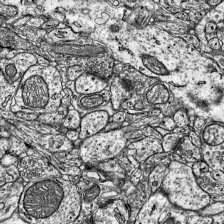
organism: Mouse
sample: Visual Cortex